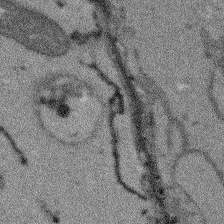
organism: Arabidopsis thaliana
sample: Root tip